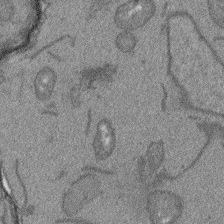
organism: Arabidopsis thaliana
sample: Root tip